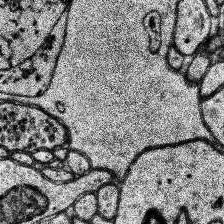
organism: Human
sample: Temporal Lobe